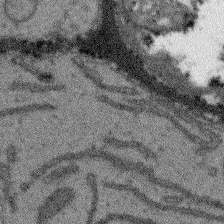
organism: Arabidopsis thaliana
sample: Root tip